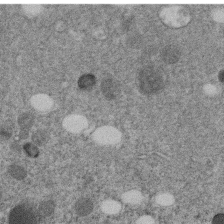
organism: C. elegans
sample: C. elegans embryo early stage